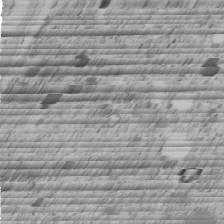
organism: C. elegans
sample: C. elegans embryo early stage